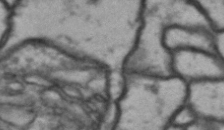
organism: Drosophila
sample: Brain